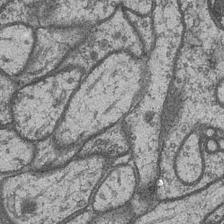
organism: Drosophila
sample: Optic medulla